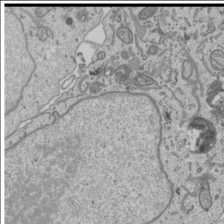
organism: Human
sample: Mitochondria in U2OS cells